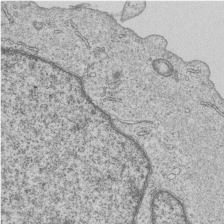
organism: Human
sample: MDA-MB-231 cells